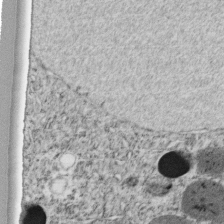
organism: C. elegans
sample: C. elegans embryo early stage